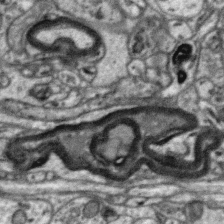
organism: Zebra finch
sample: Brain